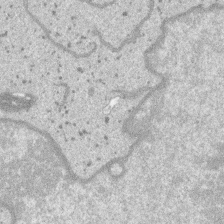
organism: Human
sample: Lung epithelial cells infected with SARS-CoV-2